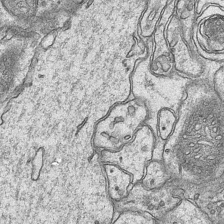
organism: Mouse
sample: CA1 Hippocampus